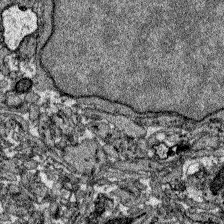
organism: Zebrafish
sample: Larval olfactory bulb